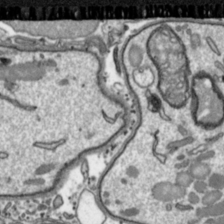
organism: Toxoplasma gondii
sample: Parasites in a vacuole inside a host cell